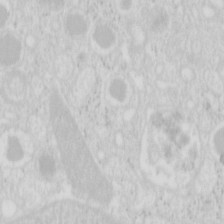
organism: Mouse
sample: Pancreas